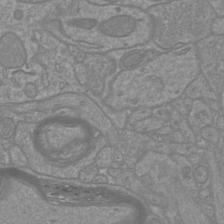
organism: Mouse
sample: Cortical neurons